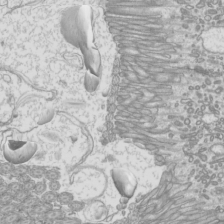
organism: Mouse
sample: Cilia; mouse epididymis